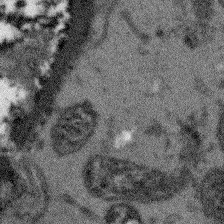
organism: Arabidopsis thaliana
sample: Root tip